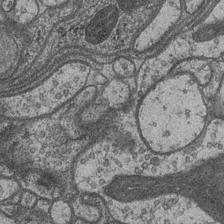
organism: Drosophila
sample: Optic medulla